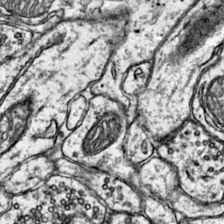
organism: Mouse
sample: Primary visual cortex